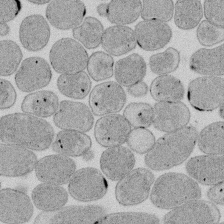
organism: E. coli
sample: Bacterial nucleoid